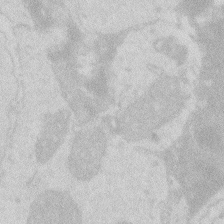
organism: Zebrafish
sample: Macrophage